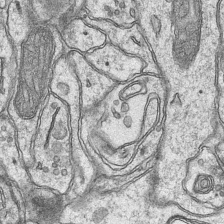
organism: Mouse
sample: CA1 Hippocampus